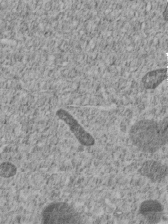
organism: C. elegans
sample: C. elegans embryo early stage